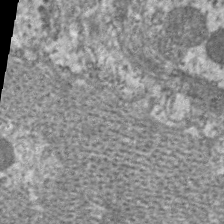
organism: C. elegans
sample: Pharynx